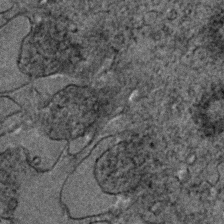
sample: Trachea